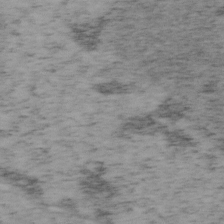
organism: Mouse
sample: OT-I killer T cells with ID8 ovarian cancer cells